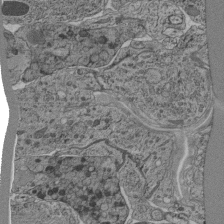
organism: C. elegans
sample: C. elegans pharynx